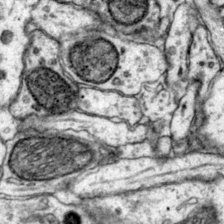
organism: Mouse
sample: Primary visual cortex